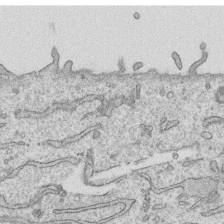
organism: Human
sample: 1205lu cells